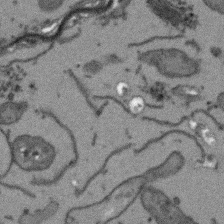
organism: Arabidopsis thaliana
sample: Root tip